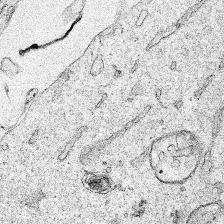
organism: Human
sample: Mitochondria in HCT116 cells